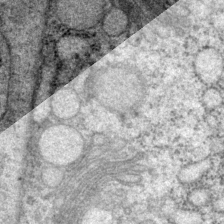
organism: P. pacificus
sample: Pharynx